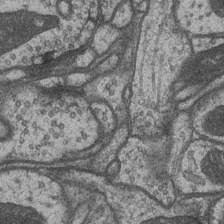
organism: Drosophila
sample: Optic medulla